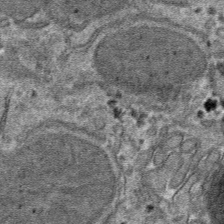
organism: Mouse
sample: Mouse hepatocytes